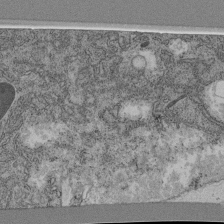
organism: C. elegans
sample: C. elegans pharynx